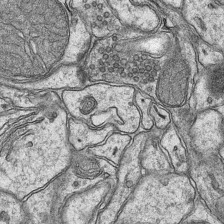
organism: Mouse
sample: CA1 Hippocampus